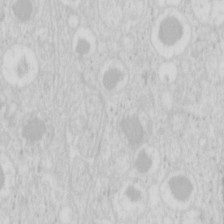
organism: Mouse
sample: Pancreas